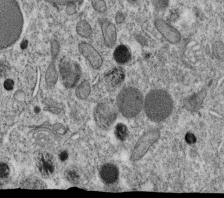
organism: C. elegans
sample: C. elegans oocyte; sperm cells